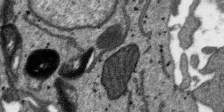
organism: Human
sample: Lung epithelial cells, uninfected (mock) control